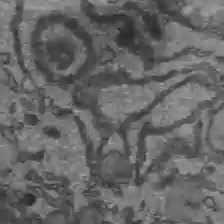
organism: C57BL Mouse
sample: Liver